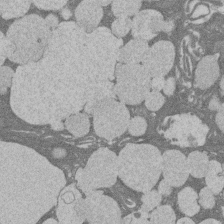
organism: Rat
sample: Salivary granule